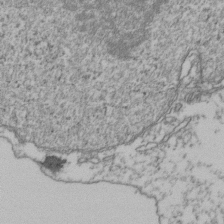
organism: Human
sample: Activated Jurkat CD4+ T cells